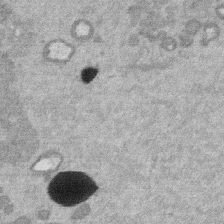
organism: Mouse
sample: Dividing mouse embryo 1 cell stage